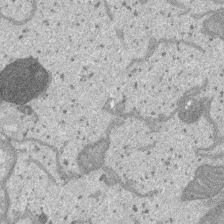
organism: Human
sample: Lung epithelial cells infected with SARS-CoV-2